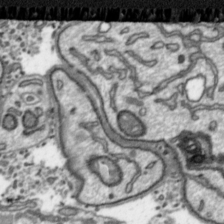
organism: Toxoplasma gondii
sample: Parasites in a vacuole inside a host cell